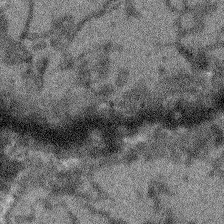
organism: Arabidopsis thaliana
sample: Root tip